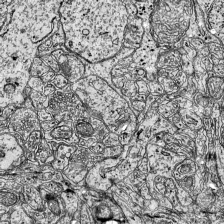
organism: Mouse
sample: Visual Cortex